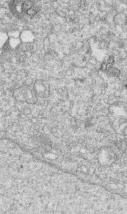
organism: Human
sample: HeLa cell HIV synapse